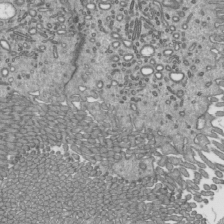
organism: Mouse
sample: Mouse epididymis efferent ductule cilia